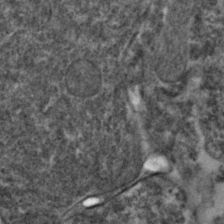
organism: Zebrafish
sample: Zebrafish embryo